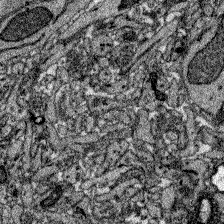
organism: Zebrafish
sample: Larval olfactory bulb